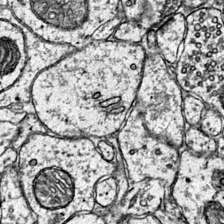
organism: Mouse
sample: Primary visual cortex